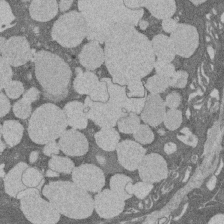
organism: Rat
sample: Salivary granule